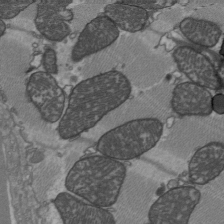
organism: C57BL Mouse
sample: Heart